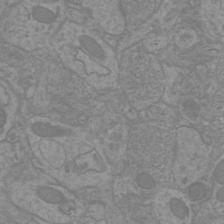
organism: Mouse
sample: Cortical neurons